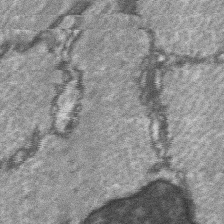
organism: C57BL Mouse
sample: Soleus